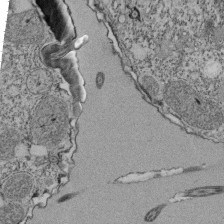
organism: Tetrahymena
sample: Cilia in tetrahymena